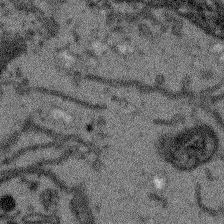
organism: Arabidopsis thaliana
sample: Root tip